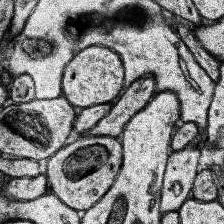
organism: Human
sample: Temporal Lobe